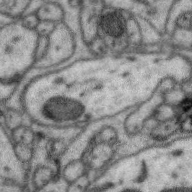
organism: Zebra finch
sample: Brain